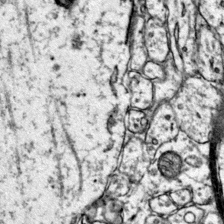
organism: Mouse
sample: Primary visual cortex